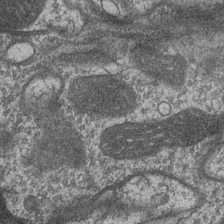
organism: Drosophila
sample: Optic medulla